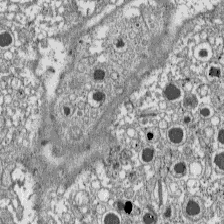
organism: C57BL Mouse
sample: Pancreatic islet